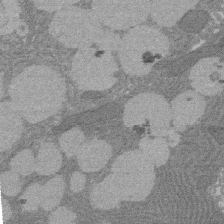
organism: Rat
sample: Salivary granule